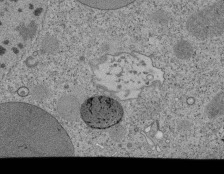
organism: Tetrahymena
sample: Cilia in tetrahymena